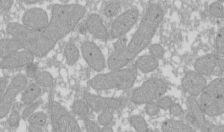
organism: Xenopus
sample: Cilia; centrioles in frog embryo cells